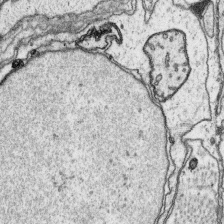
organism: Platynereis dumerilii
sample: Parapodia